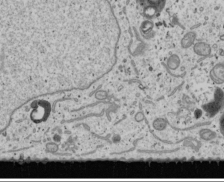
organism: Human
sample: Mitochondria in U2OS cells